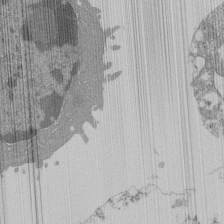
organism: Mouse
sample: Activated Pmel transgenic CD8+ T Cells